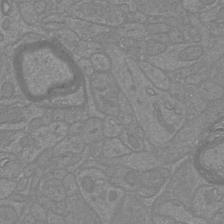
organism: Mouse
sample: Cortical neurons